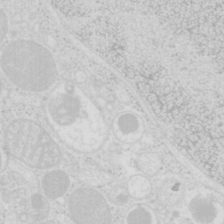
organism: Mouse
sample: Pancreas